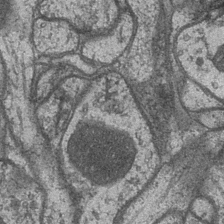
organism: Drosophila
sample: Optic medulla